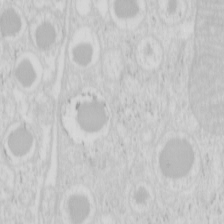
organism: Mouse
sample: Pancreas